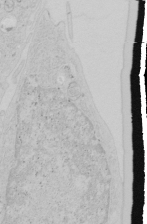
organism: Human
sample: Mitochondria in HCT116 cells